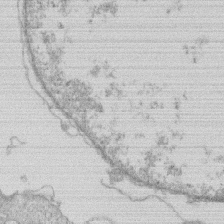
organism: Human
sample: Macrophage cells